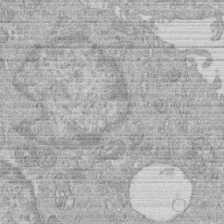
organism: Human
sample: Macrophage cells